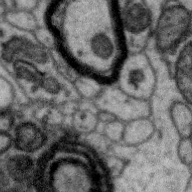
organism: Zebra finch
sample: Brain